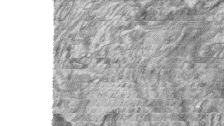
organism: Zebrafish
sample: synaptic ribbons in rod cells and cone cells